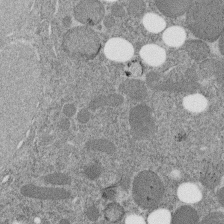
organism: C. elegans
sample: C. elegans embryo early stage